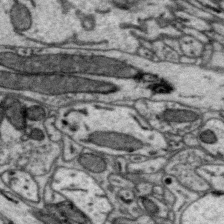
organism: Zebra finch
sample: Brain